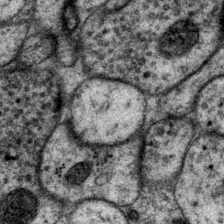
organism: P. pacificus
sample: Pharynx